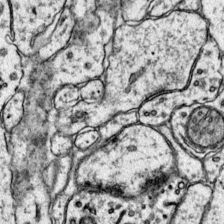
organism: Mouse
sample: Primary visual cortex